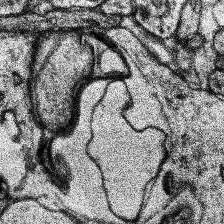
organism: Human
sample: Temporal Lobe